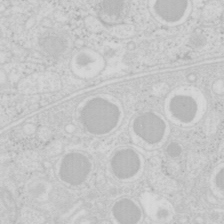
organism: Mouse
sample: Pancreas